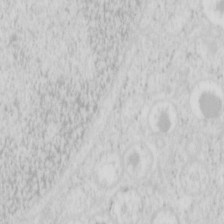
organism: Mouse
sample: Pancreas